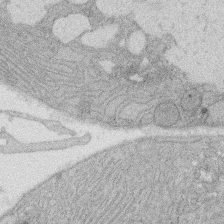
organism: Rat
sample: Salivary granule